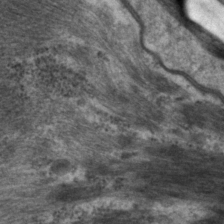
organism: P. pacificus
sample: Pharynx